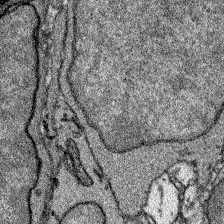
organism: Zebrafish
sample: Larval olfactory bulb